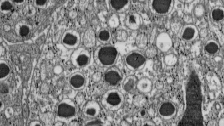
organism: C57BL Mouse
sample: Pancreatic islet